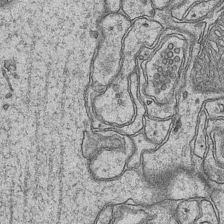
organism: Mouse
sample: CA1 Hippocampus